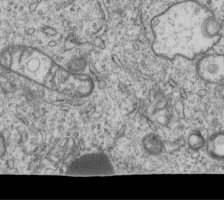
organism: Human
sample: MDA-MB-231 cells